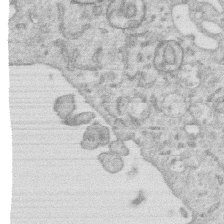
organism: Human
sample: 1205lu cells